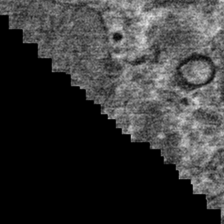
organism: Mouse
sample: Mouse hepatocytes